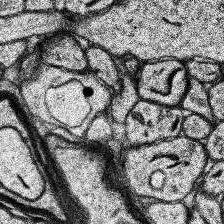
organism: Human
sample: Temporal Lobe